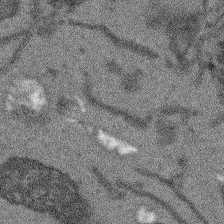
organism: Arabidopsis thaliana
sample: Root tip